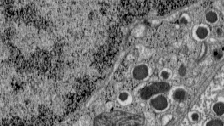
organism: C57BL Mouse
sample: Pancreatic islet